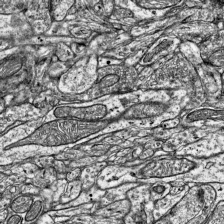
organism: Mouse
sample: Visual Cortex